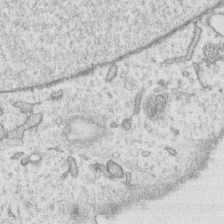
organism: Human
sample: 1205lu cells